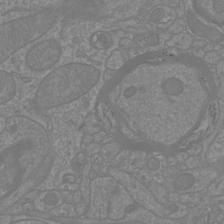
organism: Mouse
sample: Cortical neurons